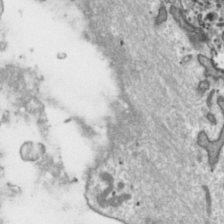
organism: Toxoplasma gondii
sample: Parasites in a vacuole inside a host cell